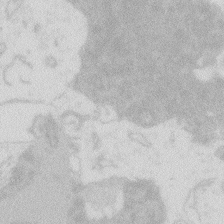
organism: Zebrafish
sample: Macrophage